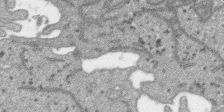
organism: Human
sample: Lung epithelial cells infected with SARS-CoV-2